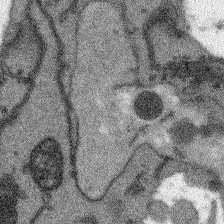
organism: Arabidopsis thaliana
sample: Root tip